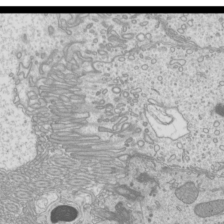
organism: Mouse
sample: Cilia; mouse epididymis